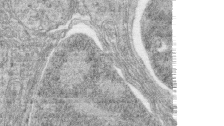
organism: Zebrafish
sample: synaptic ribbons in rod cells and cone cells